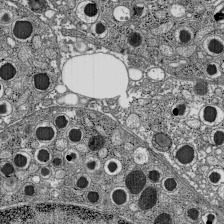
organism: C57BL Mouse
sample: Pancreatic islet